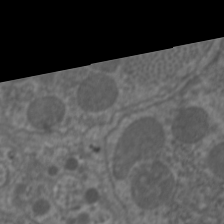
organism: C. elegans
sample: Pharynx